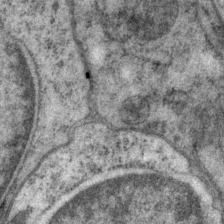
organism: P. pacificus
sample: Pharynx